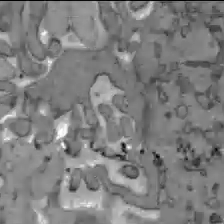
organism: C57BL Mouse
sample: Liver